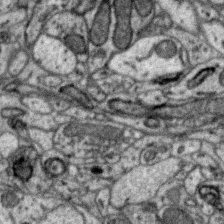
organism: Zebra finch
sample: Brain